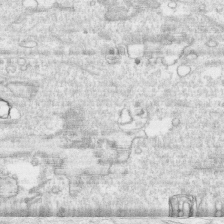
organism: Human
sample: CRL-1474